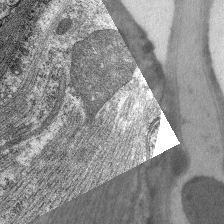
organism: C. elegans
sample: Pharynx